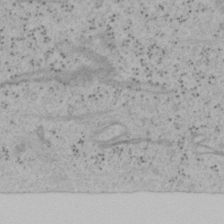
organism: Human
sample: HeLa cells